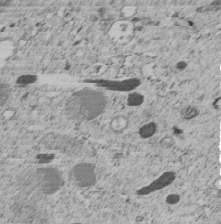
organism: C. elegans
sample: C. elegans embryo early stage